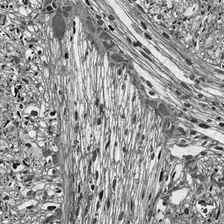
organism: Drosophila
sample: Optic lobe